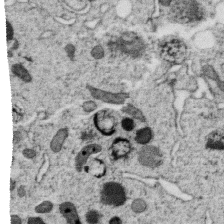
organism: C. elegans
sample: C. elegans oocyte; sperm cells